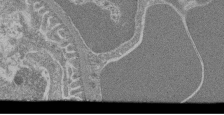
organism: Mouse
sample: Glomerulus